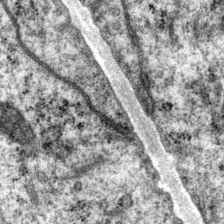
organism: P. pacificus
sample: Pharynx